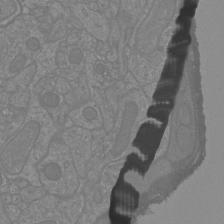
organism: Mouse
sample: Cortical neurons